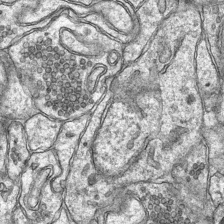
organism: Mouse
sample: CA1 Hippocampus